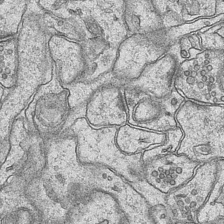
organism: Mouse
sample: CA1 Hippocampus